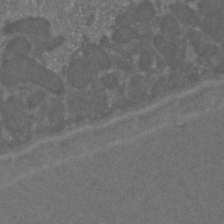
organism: C. elegans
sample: C. elegans embryo